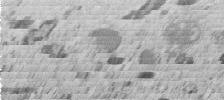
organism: C. elegans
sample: C. elegans embryo early stage